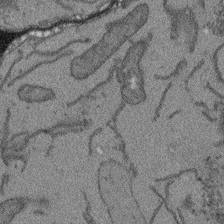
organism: Arabidopsis thaliana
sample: Root tip